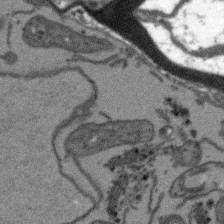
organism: Arabidopsis thaliana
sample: Root tip